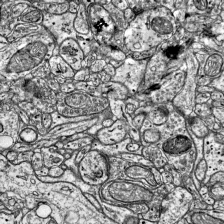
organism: Mouse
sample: Visual Cortex